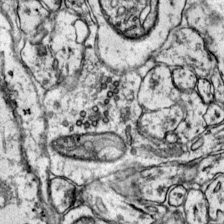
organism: Mouse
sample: Primary visual cortex